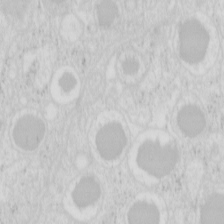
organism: Mouse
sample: Pancreas